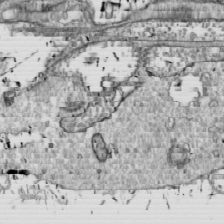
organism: Drosophila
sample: Cell division; meiosis; drosophila spermatocytes